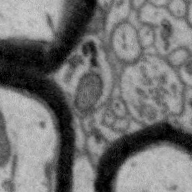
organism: Zebra finch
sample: Brain